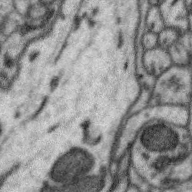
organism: Zebra finch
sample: Brain